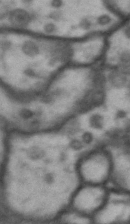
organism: Drosophila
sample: Brain